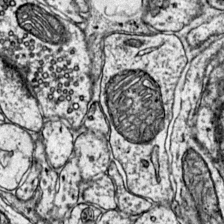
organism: Mouse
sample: Primary visual cortex